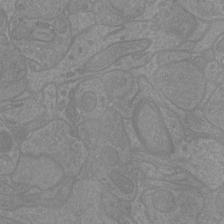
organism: Mouse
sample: Cortical neurons